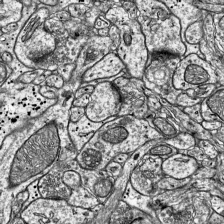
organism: Mouse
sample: Visual Cortex